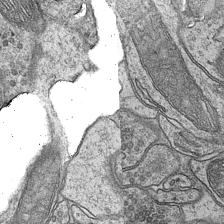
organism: Mouse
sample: CA1 Hippocampus